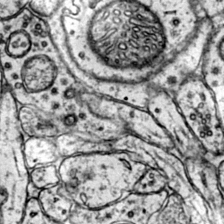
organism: Mouse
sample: Primary visual cortex